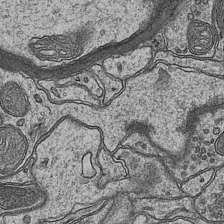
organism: Mouse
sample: CA1 Hippocampus